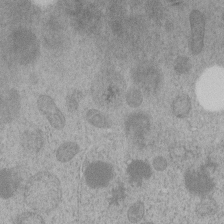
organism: C. elegans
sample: C. elegans embryo early stage